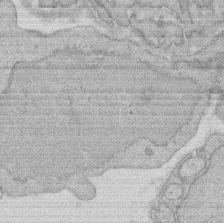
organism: Rat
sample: Salivary granule